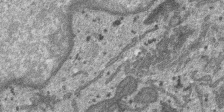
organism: Human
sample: Lung epithelial cells infected with SARS-CoV-2